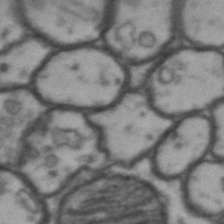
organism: Drosophila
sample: Brain